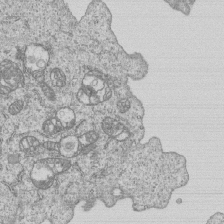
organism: Human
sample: MDA-MB-231 cells